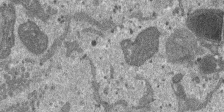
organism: Human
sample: Lung epithelial cells infected with SARS-CoV-2